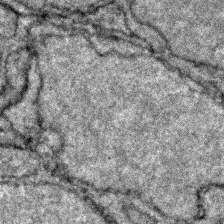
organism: Zebrafish